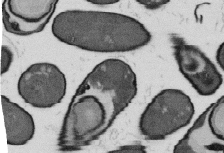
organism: B. subtilis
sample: Bacterial spore